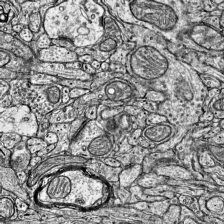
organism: Mouse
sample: Visual Cortex